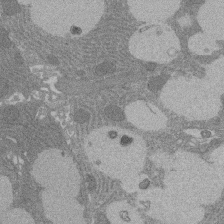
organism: Rat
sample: Salivary granule